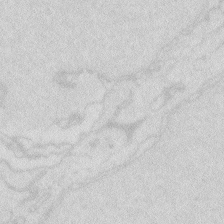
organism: Zebrafish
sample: Macrophage